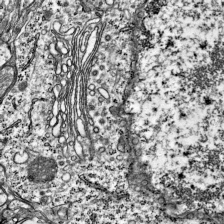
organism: Mouse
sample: Visual Cortex